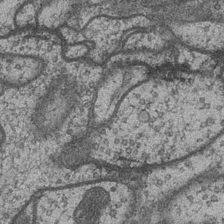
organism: Drosophila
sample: Optic medulla